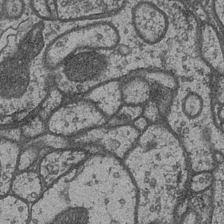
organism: Drosophila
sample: Optic medulla